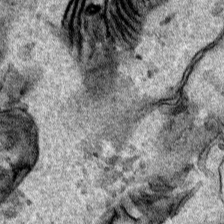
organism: Human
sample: Mitochondria in HCT116 cells